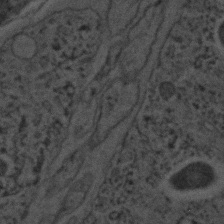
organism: C. elegans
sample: C. elegans embryo